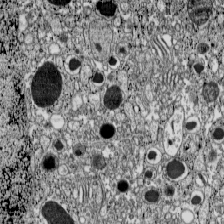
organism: C57BL Mouse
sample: Pancreatic islet